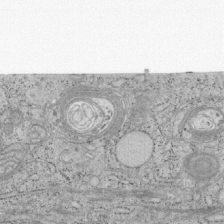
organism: Human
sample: HeLa cells